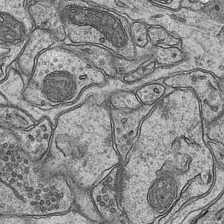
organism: Mouse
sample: CA1 Hippocampus